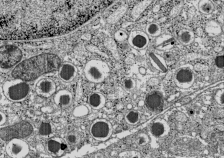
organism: C57BL Mouse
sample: Pancreatic islet